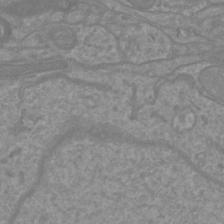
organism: Mouse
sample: Cortical neurons